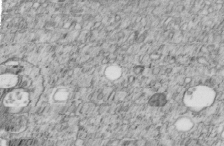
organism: C. elegans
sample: C. elegans embryo early stage